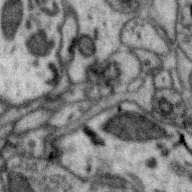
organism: Zebra finch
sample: Brain